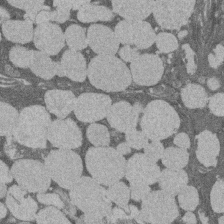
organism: Rat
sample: Salivary granule